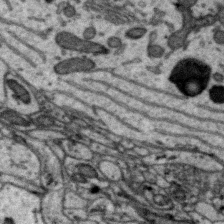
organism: Zebra finch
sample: Brain